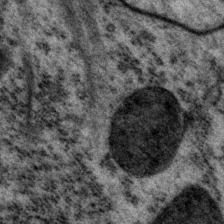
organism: P. pacificus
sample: Pharynx